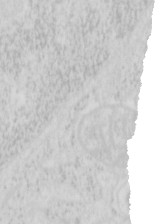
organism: Mouse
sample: Pancreas